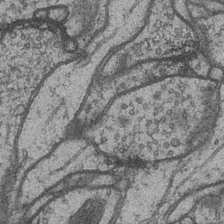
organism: Drosophila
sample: Optic medulla